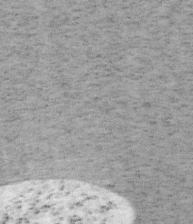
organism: Mouse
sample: OT-I killer T cells with ID8 ovarian cancer cells